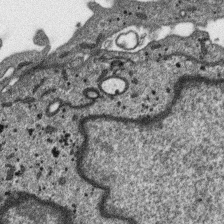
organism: Human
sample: Lung epithelial cells infected with SARS-CoV-2